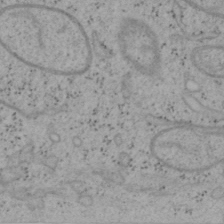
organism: Human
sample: HeLa cells